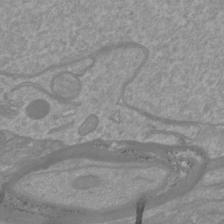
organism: Mouse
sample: Cortical neurons